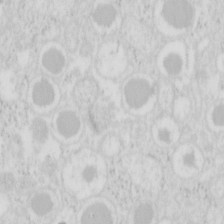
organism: Mouse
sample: Pancreas